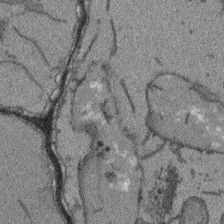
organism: Arabidopsis thaliana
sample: Root tip